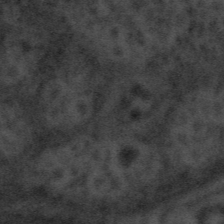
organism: Tuwongella immobilis